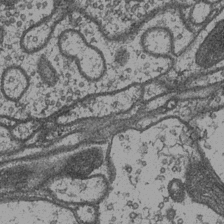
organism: Drosophila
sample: Optic medulla